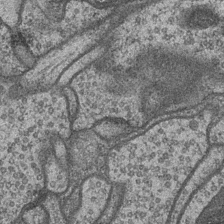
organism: Drosophila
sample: Optic medulla